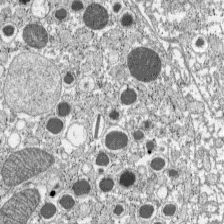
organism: C57BL Mouse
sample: Pancreatic islet